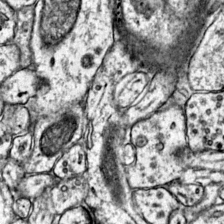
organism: Mouse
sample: Primary visual cortex